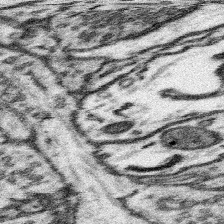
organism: Mouse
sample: Somatosensory cortex neuropil